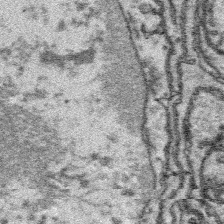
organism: Platynereis dumerilii